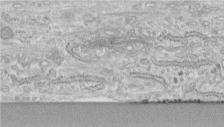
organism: Human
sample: Centriole in fibroblast cells